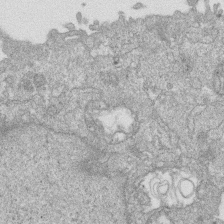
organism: Human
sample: HeLa cell HIV synapse